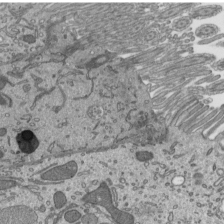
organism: Mouse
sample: Mouse epididymis efferent ductule cilia